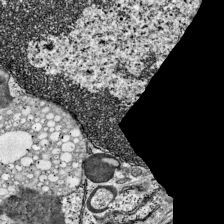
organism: Mouse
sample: Visual Cortex